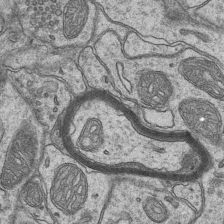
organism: Mouse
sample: CA1 Hippocampus